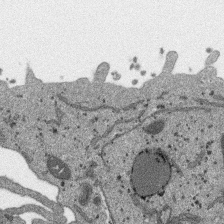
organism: Human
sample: Lung epithelial cells infected with SARS-CoV-2